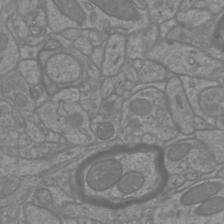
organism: Mouse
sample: Cortical neurons